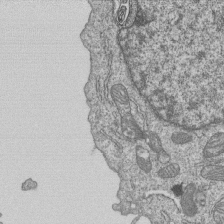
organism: Human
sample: MDA-MB-231 cells